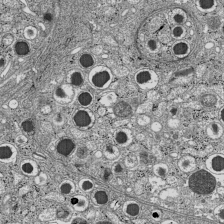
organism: C57BL Mouse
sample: Pancreatic islet